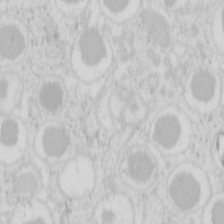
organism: Mouse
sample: Pancreas